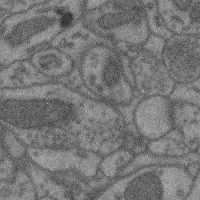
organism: Mouse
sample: Cerebral cortex